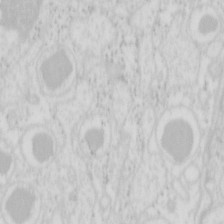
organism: Mouse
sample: Pancreas